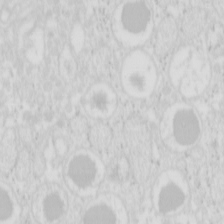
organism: Mouse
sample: Pancreas